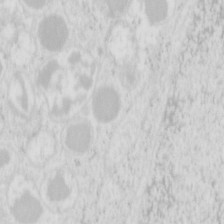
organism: Mouse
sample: Pancreas